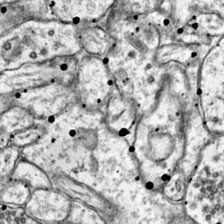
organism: Mouse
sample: Primary visual cortex